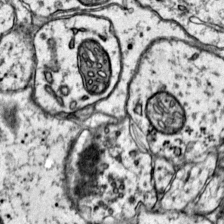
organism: Mouse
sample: Primary visual cortex